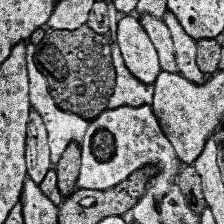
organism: Human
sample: Temporal Lobe